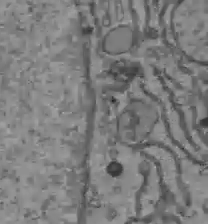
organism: C57BL Mouse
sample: Liver